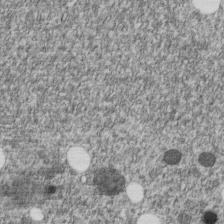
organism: C. elegans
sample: C. elegans embryo early stage